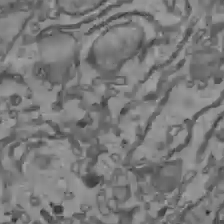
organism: C57BL Mouse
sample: Liver